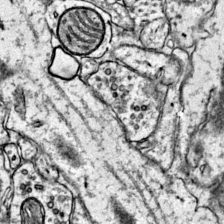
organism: Mouse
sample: Primary visual cortex